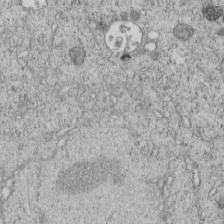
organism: C. elegans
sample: C. elegans embryo early stage